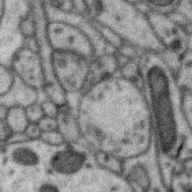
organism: Zebra finch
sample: Brain